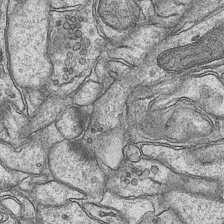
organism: Mouse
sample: CA1 Hippocampus